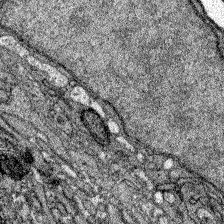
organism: Zebrafish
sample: Larval olfactory bulb